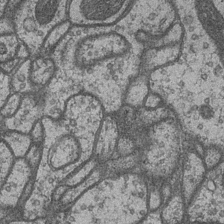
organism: Drosophila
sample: Optic medulla